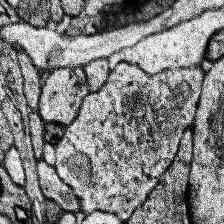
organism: Human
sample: Temporal Lobe